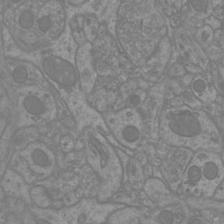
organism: Mouse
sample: Cortical neurons